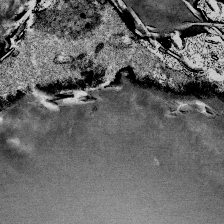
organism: Mouse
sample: Mouse Salivary gland